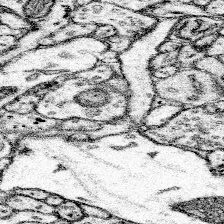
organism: Mouse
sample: Somatosensory cortex neuropil